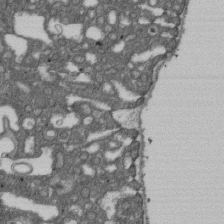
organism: Drosophila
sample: Nephrocyte